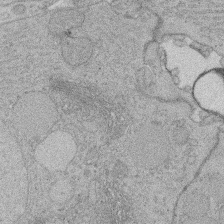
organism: Rat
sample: Salivary granule